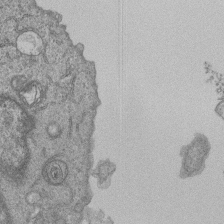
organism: Human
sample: MDA-MB-231 cells